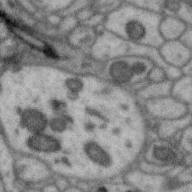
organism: Zebra finch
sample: Brain